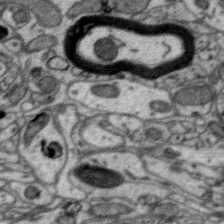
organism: Zebra finch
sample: Brain